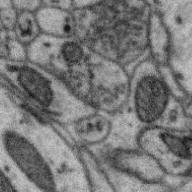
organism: Zebra finch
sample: Brain